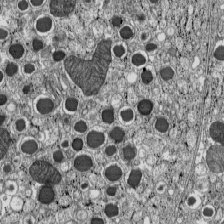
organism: C57BL Mouse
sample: Pancreatic islet